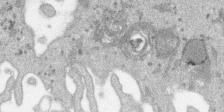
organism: Human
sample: Lung epithelial cells infected with SARS-CoV-2